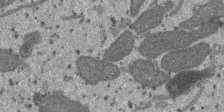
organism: Human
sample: Lung epithelial cells infected with SARS-CoV-2